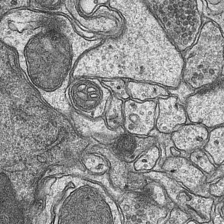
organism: Mouse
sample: CA1 Hippocampus